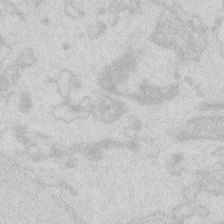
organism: Zebrafish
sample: Macrophage